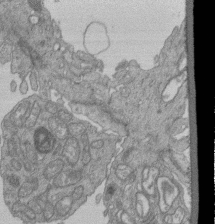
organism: Human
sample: Retinal organoid Rod and Cone cells